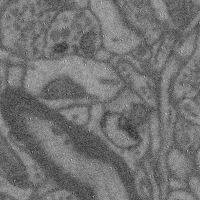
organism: Mouse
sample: Cerebral cortex